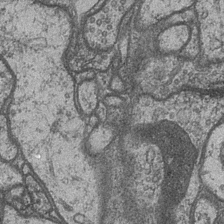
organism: Drosophila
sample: Optic medulla